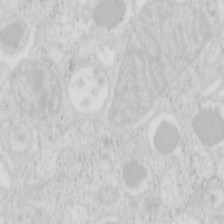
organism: Mouse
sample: Pancreas